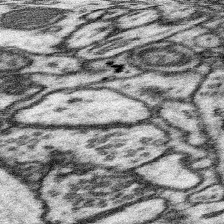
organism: Mouse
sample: Somatosensory cortex neuropil